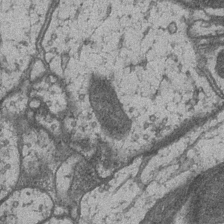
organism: Drosophila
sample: Optic medulla